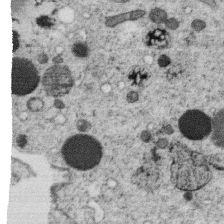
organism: C. elegans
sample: C. elegans oocyte; sperm cells